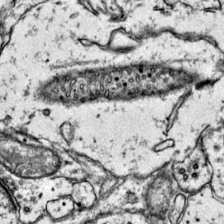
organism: Mouse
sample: Primary visual cortex